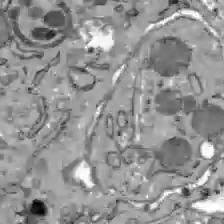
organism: C57BL Mouse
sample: Liver